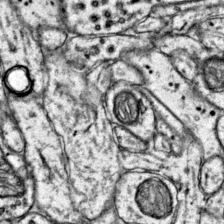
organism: Mouse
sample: Primary visual cortex